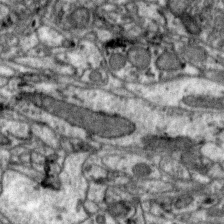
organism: Zebra finch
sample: Brain